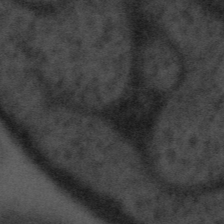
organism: Tuwongella immobilis